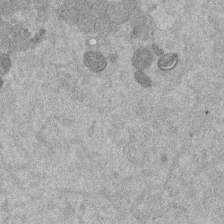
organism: Mouse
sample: Dividing mouse embryo 1 cell stage